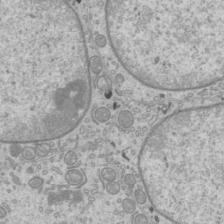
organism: Mouse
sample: Cilia; mouse epididymis